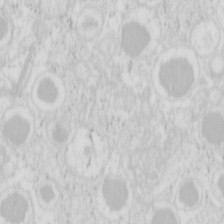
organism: Mouse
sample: Pancreas